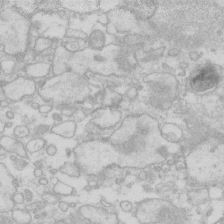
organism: Human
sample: Fibroblast cells